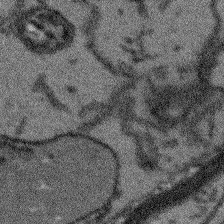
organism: Arabidopsis thaliana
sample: Root tip